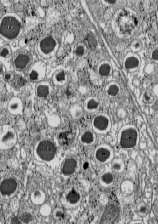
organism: C57BL Mouse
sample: Pancreatic islet